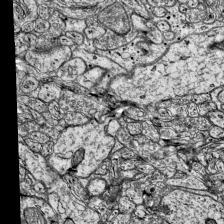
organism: Mouse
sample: Visual Cortex